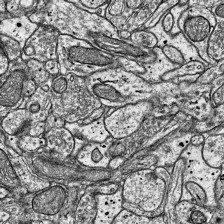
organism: Mouse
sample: Visual Cortex